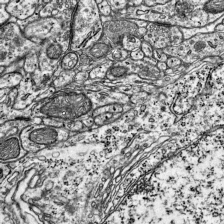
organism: Mouse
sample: Visual Cortex